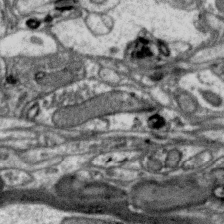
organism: Zebra finch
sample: Brain